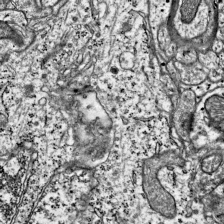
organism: Mouse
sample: Visual Cortex